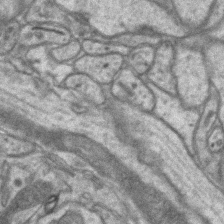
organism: Mouse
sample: CA1 Hippocampus